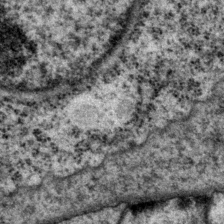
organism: P. pacificus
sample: Pharynx